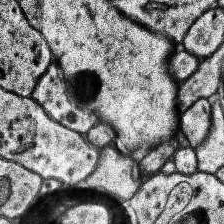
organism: Human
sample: Temporal Lobe